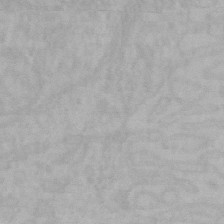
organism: Mouse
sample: Choroid plexus